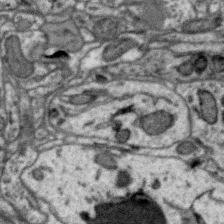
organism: Zebra finch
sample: Brain